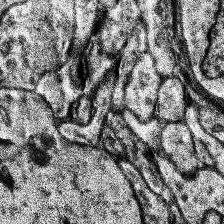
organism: Human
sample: Temporal Lobe